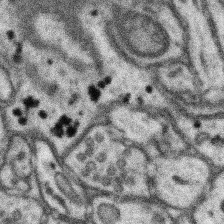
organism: Mouse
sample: Somatosensory cortex neuropil